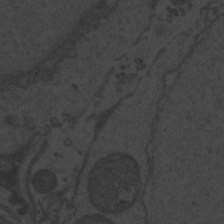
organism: Zebrafish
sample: Macrophage infected with Toxoplasma gondii